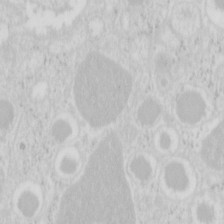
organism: Mouse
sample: Pancreas